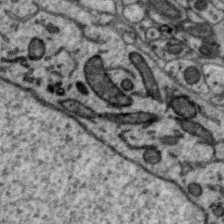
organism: Zebra finch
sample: Brain